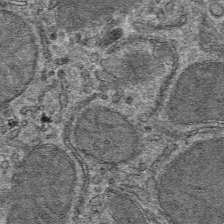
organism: Mouse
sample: Mouse hepatocytes